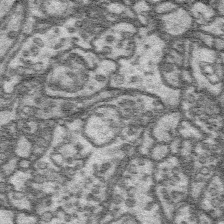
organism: Platynereis dumerilii